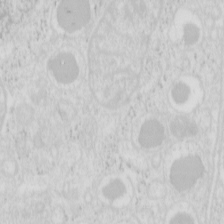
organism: Mouse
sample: Pancreas